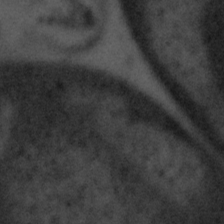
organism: Tuwongella immobilis